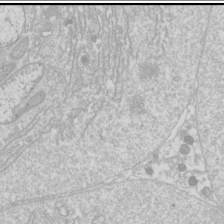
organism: Drosophila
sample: Cell division; meiosis; drosophila spermatocytes